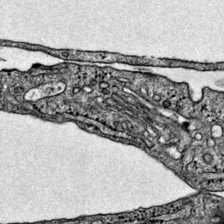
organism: Mouse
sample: Primary visual cortex